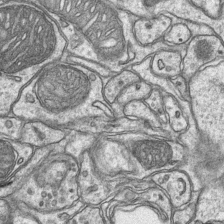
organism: Mouse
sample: CA1 Hippocampus